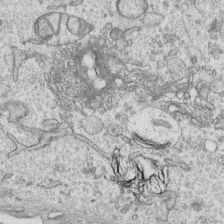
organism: Human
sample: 1205lu cells